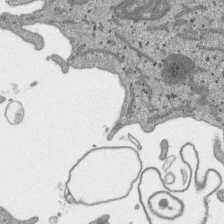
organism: Human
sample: Lung epithelial cells infected with SARS-CoV-2